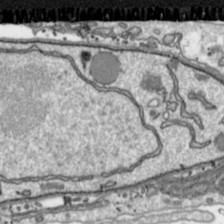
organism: Toxoplasma gondii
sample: Parasites in a vacuole inside a host cell